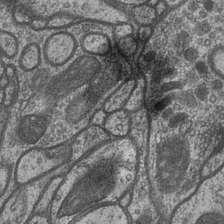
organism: Drosophila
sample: Optic medulla